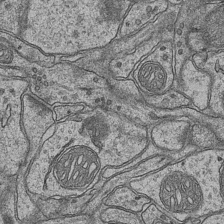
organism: Mouse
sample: CA1 Hippocampus